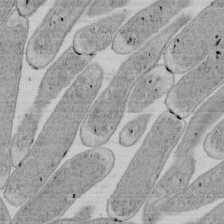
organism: E. coli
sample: Bacterial nucleoid